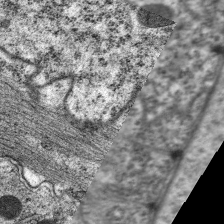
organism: C. elegans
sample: Pharynx